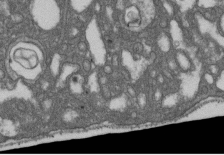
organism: Drosophila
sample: Nephrocyte